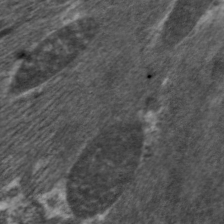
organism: C. elegans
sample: Pharynx